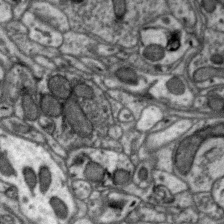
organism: Zebra finch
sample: Brain